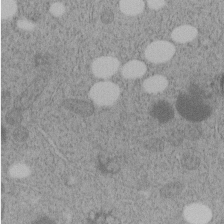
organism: C. elegans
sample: C. elegans embryo early stage